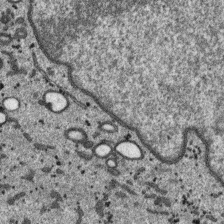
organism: Human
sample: Lung epithelial cells infected with SARS-CoV-2